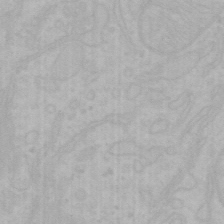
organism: Mouse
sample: Choroid plexus